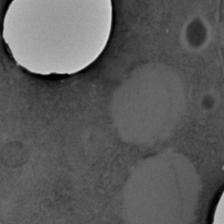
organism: C. elegans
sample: C. elegans embryo